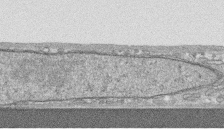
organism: Human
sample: CRL-1474